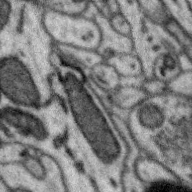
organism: Zebra finch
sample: Brain